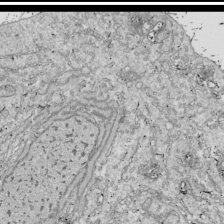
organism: Drosophila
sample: Cell division; meiosis; drosophila spermatocytes